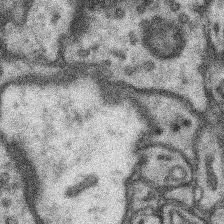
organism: Mouse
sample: Somatosensory cortex neuropil